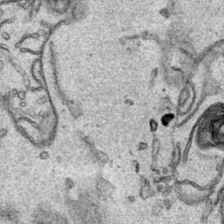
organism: Human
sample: Mitochondria in HCT116 cells